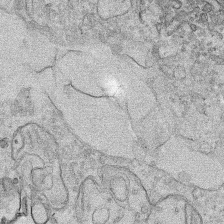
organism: Human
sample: Mitochondria in HCT116 cells